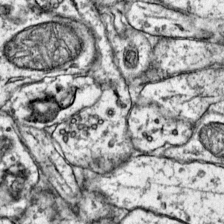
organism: Mouse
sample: Primary visual cortex